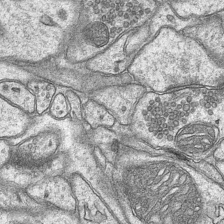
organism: Mouse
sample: CA1 Hippocampus